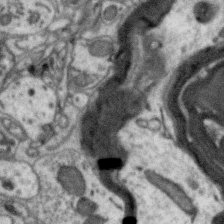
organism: Zebra finch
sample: Brain